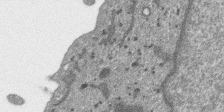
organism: Human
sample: Lung epithelial cells infected with SARS-CoV-2